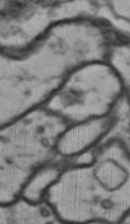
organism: Drosophila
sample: Brain